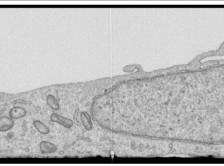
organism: Human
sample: Centriole in RPE cells